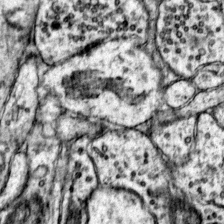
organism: Mouse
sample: Primary visual cortex